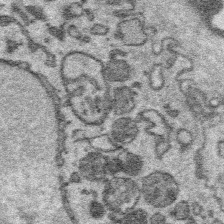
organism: Platynereis dumerilii